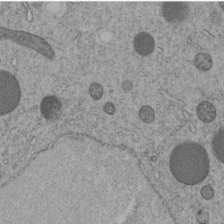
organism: C. elegans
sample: C. elegans embryo early stage